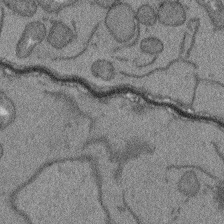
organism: Arabidopsis thaliana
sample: Root tip